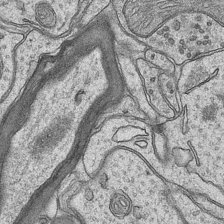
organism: Mouse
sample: CA1 Hippocampus